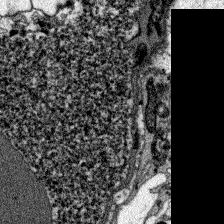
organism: Zebrafish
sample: Larval olfactory bulb